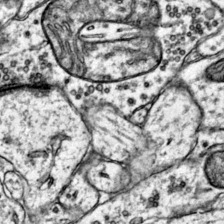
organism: Mouse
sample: Primary visual cortex